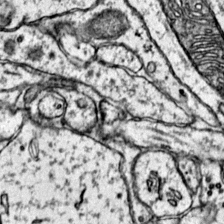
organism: Mouse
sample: Primary visual cortex